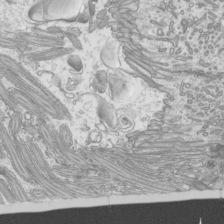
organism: Mouse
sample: Cilia; mouse epididymis